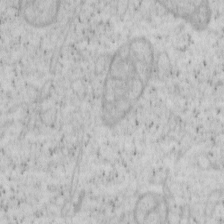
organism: Human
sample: HeLa cells